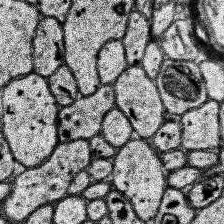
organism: Human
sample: Temporal Lobe